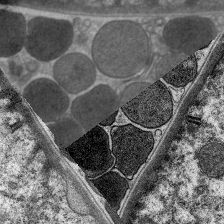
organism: C. elegans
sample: Pharynx